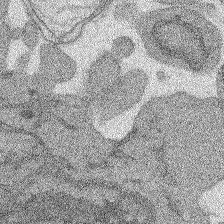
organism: Human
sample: HeLa cells